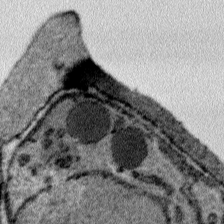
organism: Plasmodium falciparum